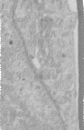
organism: Human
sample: Centriole in RPE cells